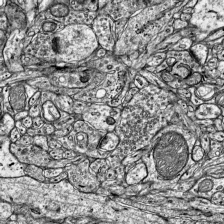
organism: Mouse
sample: Visual Cortex